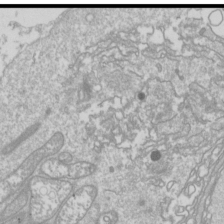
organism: Drosophila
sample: Cell division; meiosis; drosophila spermatocytes